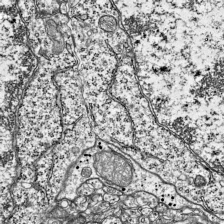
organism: Mouse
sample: Visual Cortex